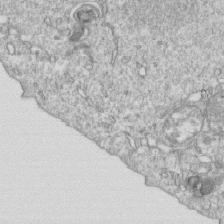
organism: Mouse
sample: Activated OT-1 CD8+ T cells